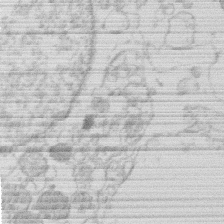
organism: Human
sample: Macrophage cells